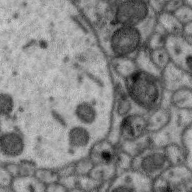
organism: Zebra finch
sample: Brain